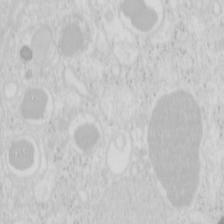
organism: Mouse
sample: Pancreas